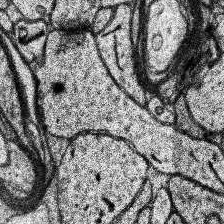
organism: Human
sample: Temporal Lobe